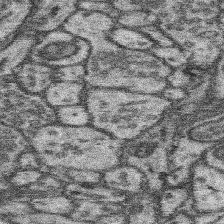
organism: Mouse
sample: Somatosensory cortex neuropil